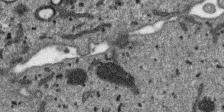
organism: Human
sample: Lung epithelial cells infected with SARS-CoV-2